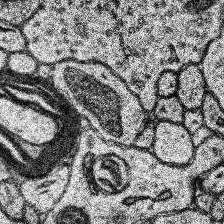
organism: Human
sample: Temporal Lobe